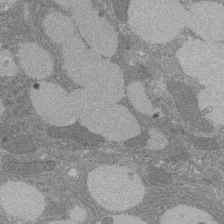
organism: Rat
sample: Salivary granule